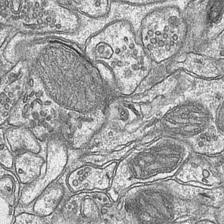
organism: Mouse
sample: CA1 Hippocampus